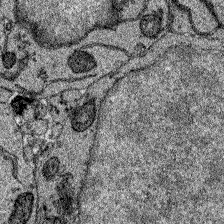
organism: Zebrafish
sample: Larval olfactory bulb